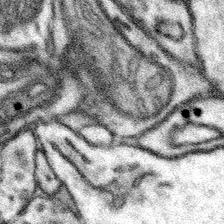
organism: Mouse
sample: Somatosensory cortex neuropil